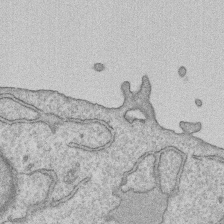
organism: Human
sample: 1205lu cells